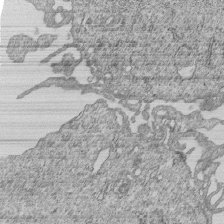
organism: Human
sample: MDA-MB-231 cells